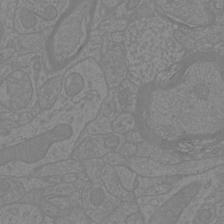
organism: Mouse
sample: Cortical neurons